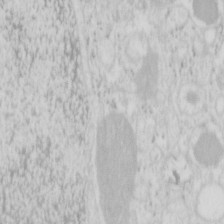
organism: Mouse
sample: Pancreas